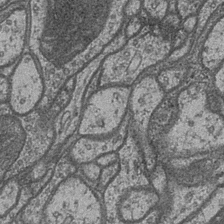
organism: Drosophila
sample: Optic medulla